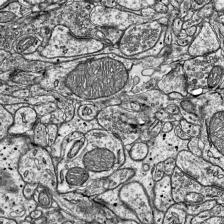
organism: Mouse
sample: Visual Cortex